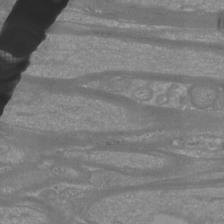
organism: Mouse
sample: Cortical neurons